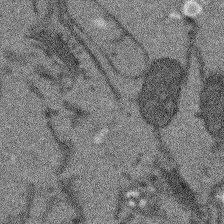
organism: Arabidopsis thaliana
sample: Root tip